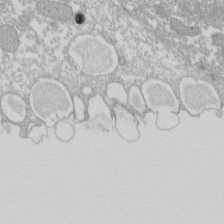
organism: Xenopus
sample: Cilia; centrioles in frog embryo cells